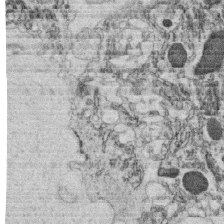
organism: C. elegans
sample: C. elegans oocyte; sperm cells